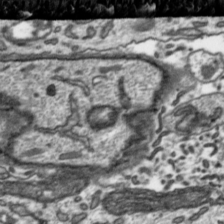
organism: Toxoplasma gondii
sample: Parasites in a vacuole inside a host cell